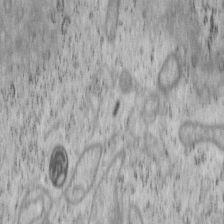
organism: Human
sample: HeLa cells